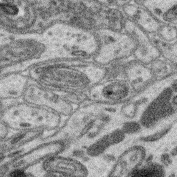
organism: Mouse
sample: Retina